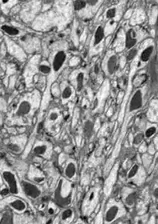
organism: Drosophila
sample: Optic lobe